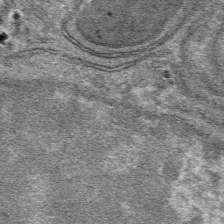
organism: Mouse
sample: Mouse hepatocytes